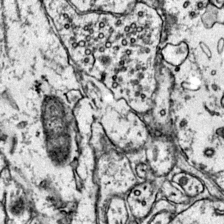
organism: Mouse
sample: Primary visual cortex